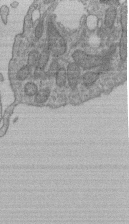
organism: Human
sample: Retinal organoid Rod and Cone cells